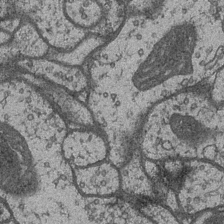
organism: Drosophila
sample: Optic medulla